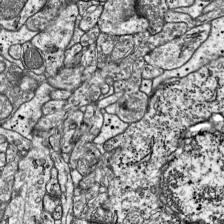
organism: Mouse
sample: Visual Cortex